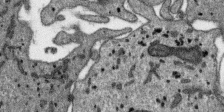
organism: Human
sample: Lung epithelial cells, uninfected (mock) control